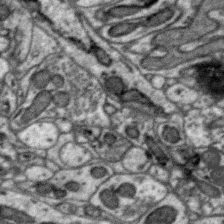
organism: Zebra finch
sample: Brain